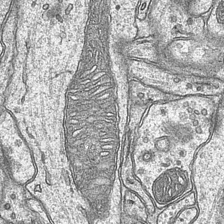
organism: Mouse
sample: CA1 Hippocampus